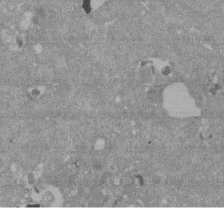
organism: Mouse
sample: ED-1 cell nuclei; centrioles